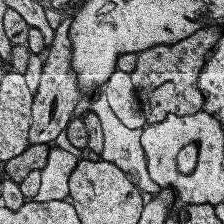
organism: Human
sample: Temporal Lobe